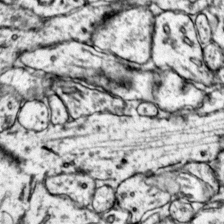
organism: Mouse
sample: Primary visual cortex